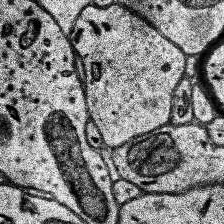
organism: Human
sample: Temporal Lobe